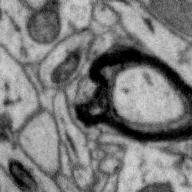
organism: Zebra finch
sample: Brain